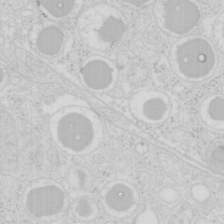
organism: Mouse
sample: Pancreas